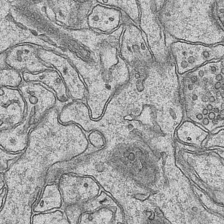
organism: Mouse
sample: CA1 Hippocampus